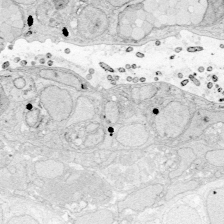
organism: Zebrafish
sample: Whole-Brain